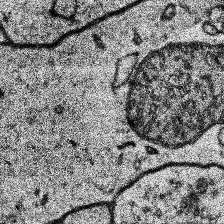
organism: Human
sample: Temporal Lobe